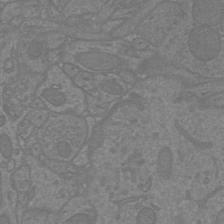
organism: Mouse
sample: Cortical neurons